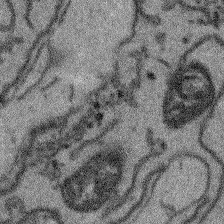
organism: Arabidopsis thaliana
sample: Root tip